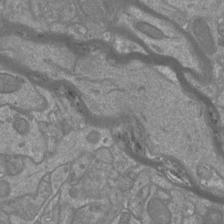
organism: Mouse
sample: Cortical neurons